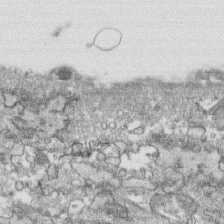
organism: Human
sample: CRL-1474